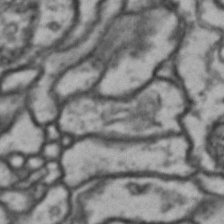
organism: Drosophila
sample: Brain